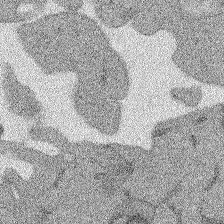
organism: Human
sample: HeLa cells